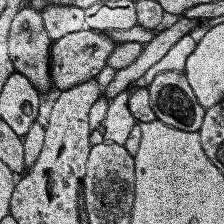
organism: Human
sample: Temporal Lobe